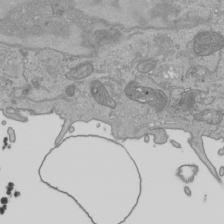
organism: Human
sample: Mitochondria in HCT116 cells